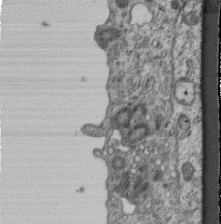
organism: Mouse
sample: Centriole in ependymal cells